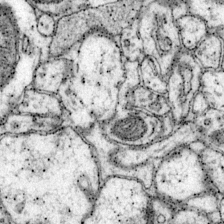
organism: Mouse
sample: Primary visual cortex